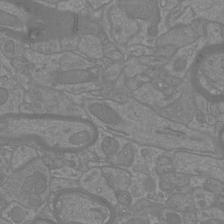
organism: Mouse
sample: Cortical neurons